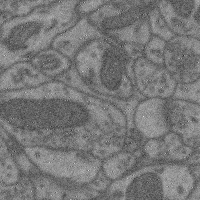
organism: Mouse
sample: Cerebral cortex